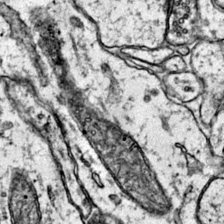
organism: Mouse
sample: Primary visual cortex